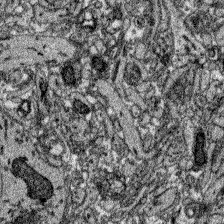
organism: Zebrafish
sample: Larval olfactory bulb